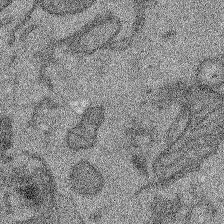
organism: Human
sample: HeLa cells